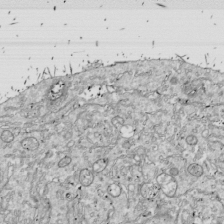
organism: Drosophila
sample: Cell division; meiosis; drosophila spermatocytes